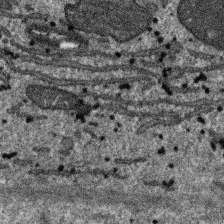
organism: Human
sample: Lung epithelial cells infected with SARS-CoV-2